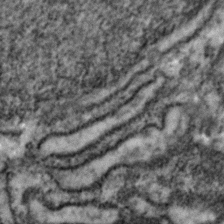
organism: Zebrafish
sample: Zebrafish embryo